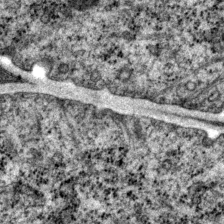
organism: P. pacificus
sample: Pharynx